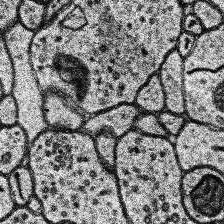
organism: Human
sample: Temporal Lobe